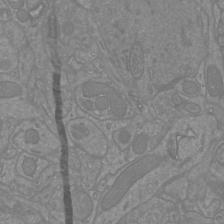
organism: Mouse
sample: Cortical neurons